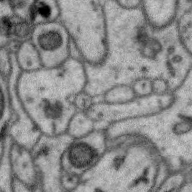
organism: Zebra finch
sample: Brain